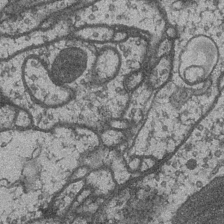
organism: Drosophila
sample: Optic medulla